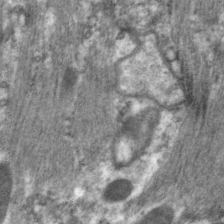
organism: C. elegans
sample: Pharynx